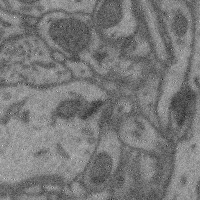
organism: Mouse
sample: Cerebral cortex